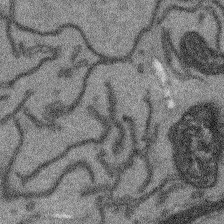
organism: Arabidopsis thaliana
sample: Root tip